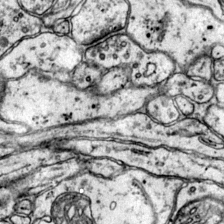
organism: Mouse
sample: Primary visual cortex